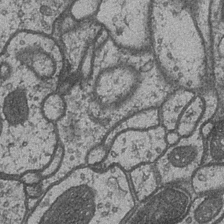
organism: Drosophila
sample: Optic medulla